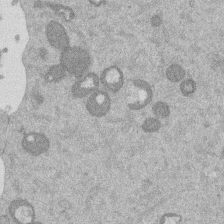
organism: Mouse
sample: Dividing mouse embryo 1 cell stage